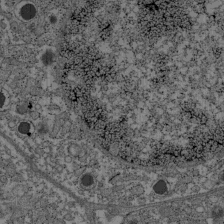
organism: C57BL Mouse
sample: Pancreatic islet